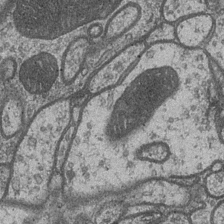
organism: Drosophila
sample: Optic medulla